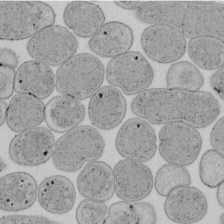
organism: E. coli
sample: Bacterial nucleoid